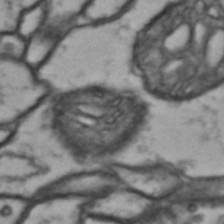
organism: Drosophila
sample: Brain